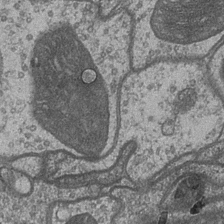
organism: Drosophila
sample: Optic medulla